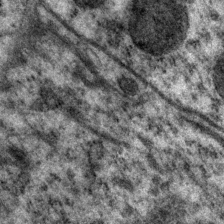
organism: P. pacificus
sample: Pharynx